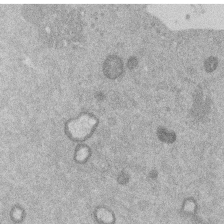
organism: Mouse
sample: Dividing mouse embryo 1 cell stage